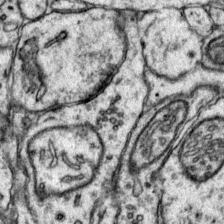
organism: Mouse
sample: Primary visual cortex